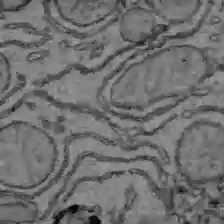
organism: C57BL Mouse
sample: Liver